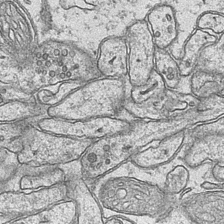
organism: Mouse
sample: CA1 Hippocampus